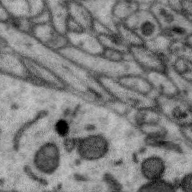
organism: Zebra finch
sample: Brain